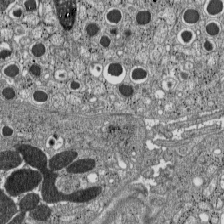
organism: C57BL Mouse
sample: Pancreatic islet